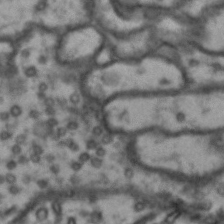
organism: Drosophila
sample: Brain